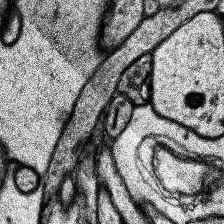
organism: Human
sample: Temporal Lobe